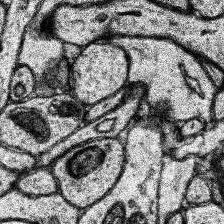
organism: Human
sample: Temporal Lobe